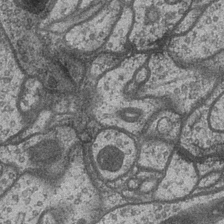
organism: Drosophila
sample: Optic medulla